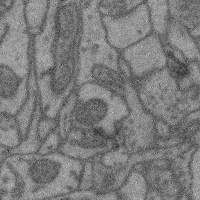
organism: Mouse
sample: Cerebral cortex